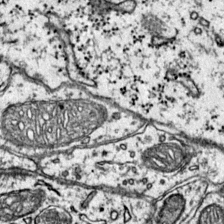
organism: Mouse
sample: Primary visual cortex